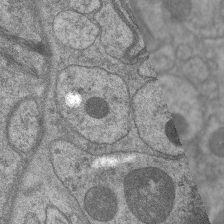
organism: C. elegans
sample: Pharynx